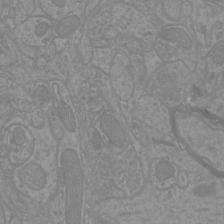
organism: Mouse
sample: Cortical neurons